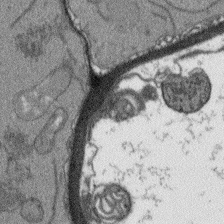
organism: Arabidopsis thaliana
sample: Root tip